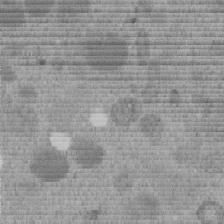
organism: C. elegans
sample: C. elegans embryo early stage